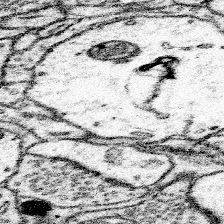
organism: Mouse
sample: Somatosensory cortex neuropil